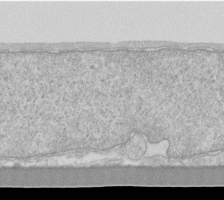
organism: Human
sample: Fibroblast cells